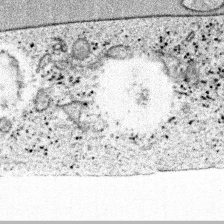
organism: Human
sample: HeLa cells